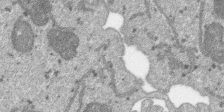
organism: Human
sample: Lung epithelial cells infected with SARS-CoV-2